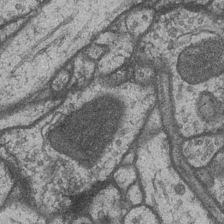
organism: Drosophila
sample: Optic medulla